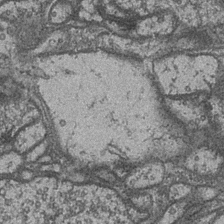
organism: Drosophila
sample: Optic medulla